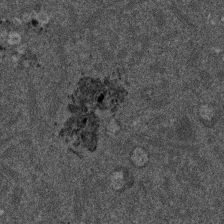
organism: Mouse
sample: Dividing mouse embryo 1 cell stage